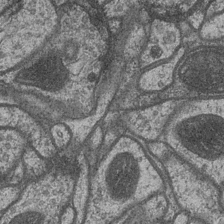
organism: Drosophila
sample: Optic medulla